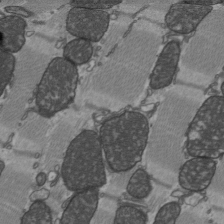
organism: C57BL Mouse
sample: Heart